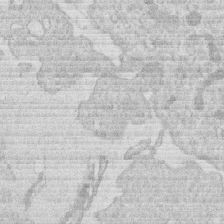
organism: Human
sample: Macrophage cells